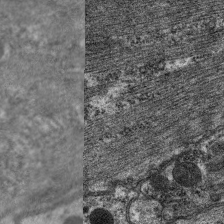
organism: C. elegans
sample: Pharynx